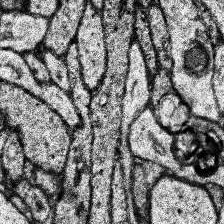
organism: Human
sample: Temporal Lobe